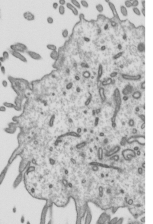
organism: Mouse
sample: Mouse epididymis efferent ductule cilia